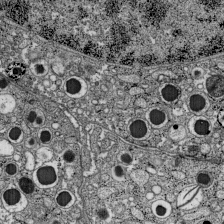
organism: C57BL Mouse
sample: Pancreatic islet